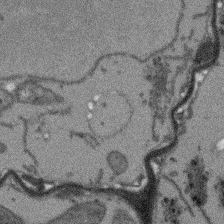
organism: Arabidopsis thaliana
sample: Root tip